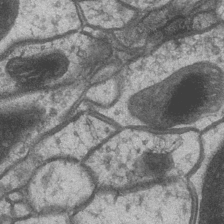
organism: Drosophila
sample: Optic medulla